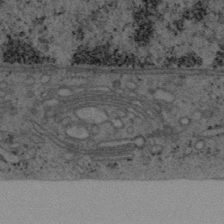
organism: Human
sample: HeLa cells